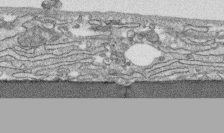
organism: Human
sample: CRL-1474